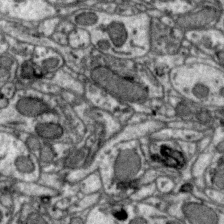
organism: Zebra finch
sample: Brain